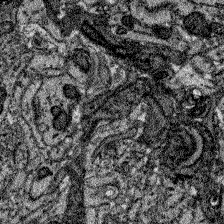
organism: Zebrafish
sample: Larval olfactory bulb